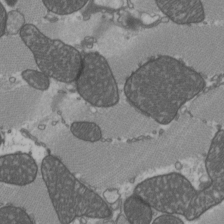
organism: C57BL Mouse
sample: Heart